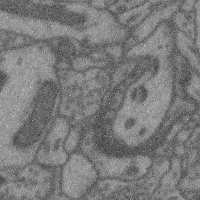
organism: Mouse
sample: Cerebral cortex